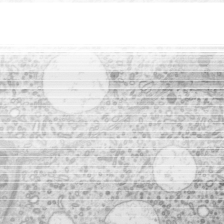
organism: Mouse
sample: Mouse epididymis efferent ductule cilia